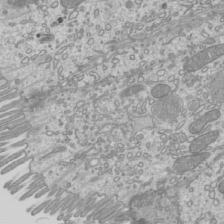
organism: Mouse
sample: Cilia; mouse epididymis